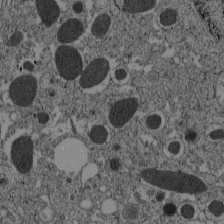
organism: C57BL Mouse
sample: Pancreatic islet